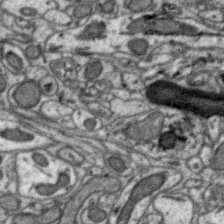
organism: Zebra finch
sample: Brain